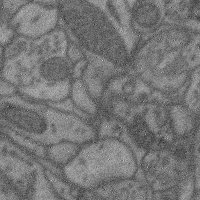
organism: Mouse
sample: Cerebral cortex